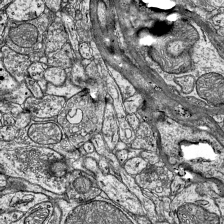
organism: Mouse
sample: Visual Cortex